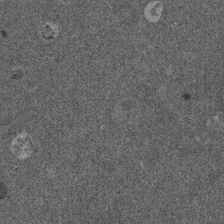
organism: Mouse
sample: Dividing mouse embryo 1 cell stage